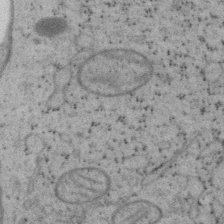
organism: Human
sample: HeLa cells